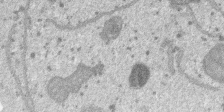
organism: Human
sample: Lung epithelial cells infected with SARS-CoV-2